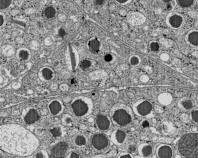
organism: C57BL Mouse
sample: Pancreatic islet